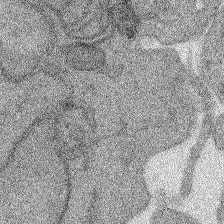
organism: Human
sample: HeLa cells